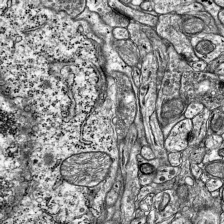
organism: Mouse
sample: Visual Cortex